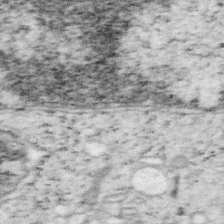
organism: Mouse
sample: OT-I killer T cells with ID8 ovarian cancer cells